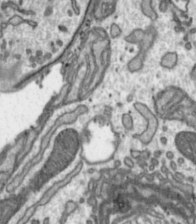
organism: Toxoplasma gondii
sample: Parasites in a vacuole inside a host cell